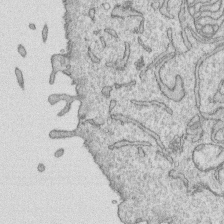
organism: Human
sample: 1205lu cells